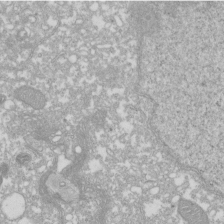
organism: Xenopus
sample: Cilia; centrioles in frog embryo cells